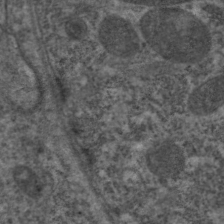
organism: C. elegans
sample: Pharynx